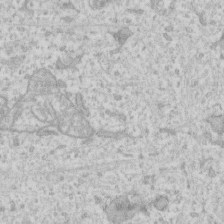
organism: Human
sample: Fibroblast cells